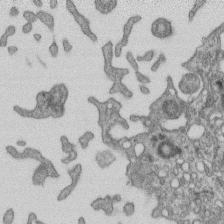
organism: Mouse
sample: Centriole in ependymal cells